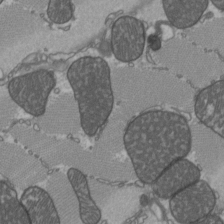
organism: C57BL Mouse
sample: Heart